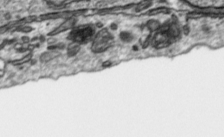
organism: Toxoplasma gondii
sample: Parasites in a vacuole inside a host cell